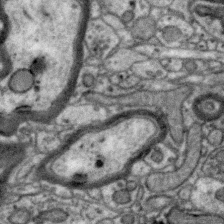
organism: Zebra finch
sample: Brain